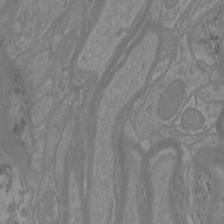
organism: Mouse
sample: Cortical neurons